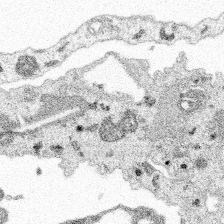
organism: Spongilla lacustris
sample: Multiple